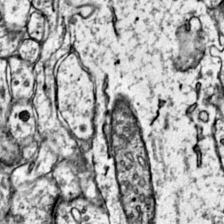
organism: Mouse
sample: Primary visual cortex